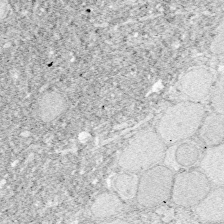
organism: Zebrafish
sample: Whole-Brain